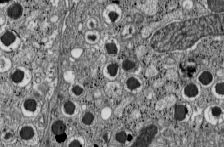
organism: C57BL Mouse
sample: Pancreatic islet